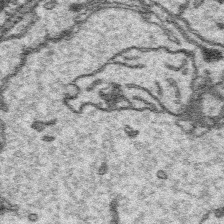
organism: Platynereis dumerilii